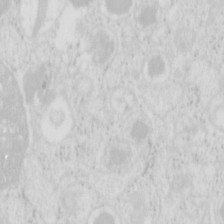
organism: Mouse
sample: Pancreas